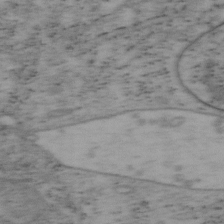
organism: Mouse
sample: OT-I killer T cells with ID8 ovarian cancer cells